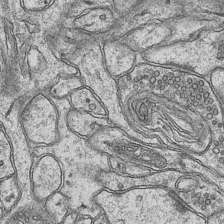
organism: Mouse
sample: CA1 Hippocampus